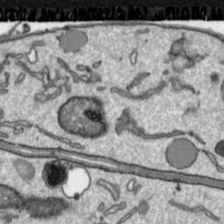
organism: Toxoplasma gondii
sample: Parasites in a vacuole inside a host cell